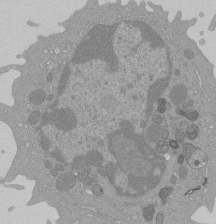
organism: Mouse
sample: Activated Pmel transgenic CD8+ T Cells